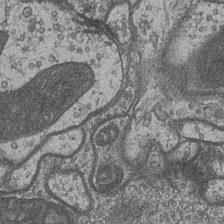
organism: Drosophila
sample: Optic medulla